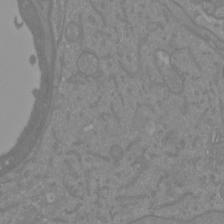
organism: Mouse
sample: Cortical neurons